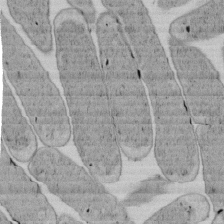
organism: E. coli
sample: Bacterial nucleoid